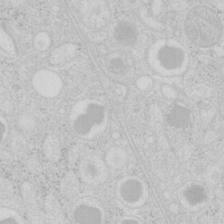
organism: Mouse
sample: Pancreas